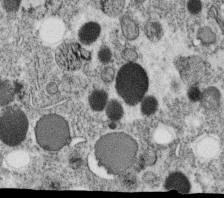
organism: C. elegans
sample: C. elegans oocyte; sperm cells